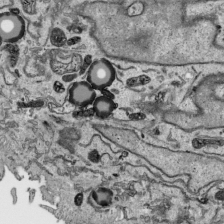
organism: Human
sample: Mitochondria in HCT116 cells